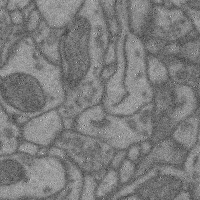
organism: Mouse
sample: Cerebral cortex